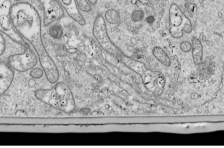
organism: Drosophila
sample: Cell division; meiosis; drosophila spermatocytes